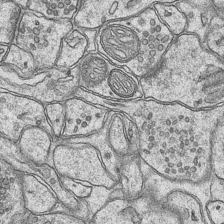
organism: Mouse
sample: CA1 Hippocampus